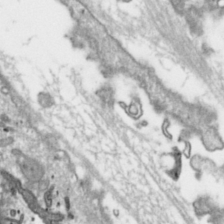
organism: Toxoplasma gondii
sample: Parasites in a vacuole inside a host cell